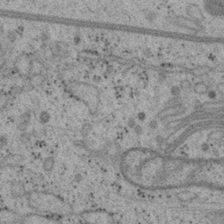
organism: Human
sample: HeLa cells